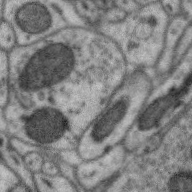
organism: Zebra finch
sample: Brain